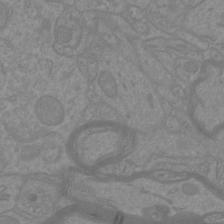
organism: Mouse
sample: Cortical neurons